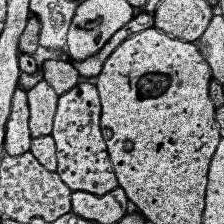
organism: Human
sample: Temporal Lobe